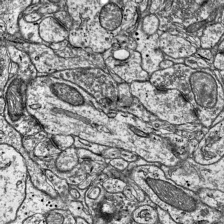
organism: Mouse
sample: Visual Cortex